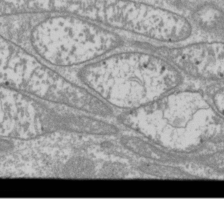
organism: Drosophila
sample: Cell division; meiosis; drosophila spermatocytes